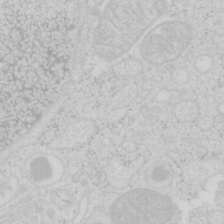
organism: Mouse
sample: Pancreas